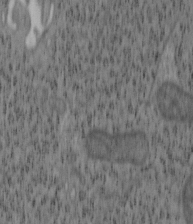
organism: Human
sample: HeLa cells